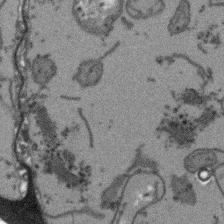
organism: Arabidopsis thaliana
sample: Root tip